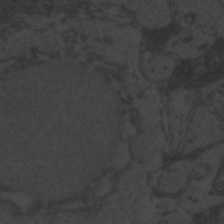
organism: Zebrafish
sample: Macrophage infected with Toxoplasma gondii